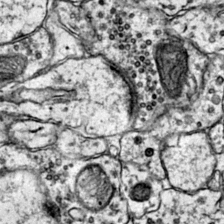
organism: Mouse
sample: Primary visual cortex